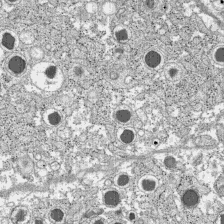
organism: C57BL Mouse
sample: Pancreatic islet